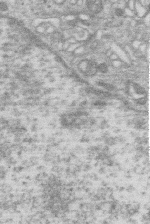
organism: Human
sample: Macrophage cells